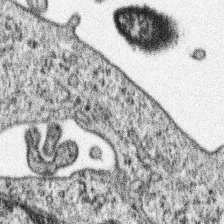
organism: Human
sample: HeLa cells